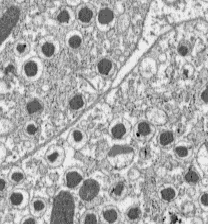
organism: C57BL Mouse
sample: Pancreatic islet